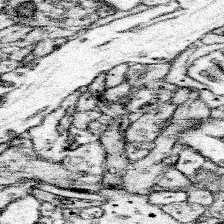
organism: Mouse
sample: Somatosensory cortex neuropil